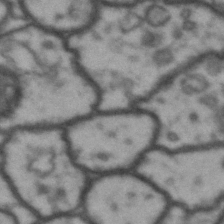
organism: Drosophila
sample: Brain